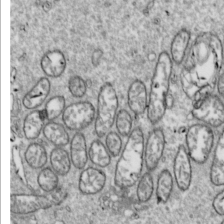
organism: Drosophila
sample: Cell division; meiosis; drosophila spermatocytes